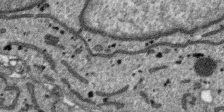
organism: Human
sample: Lung epithelial cells, uninfected (mock) control